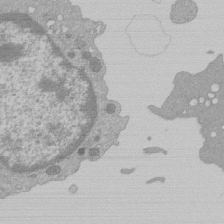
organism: Mouse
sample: Activated Pmel transgenic CD8+ T Cells